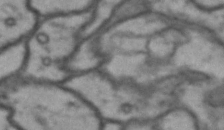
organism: Drosophila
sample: Brain